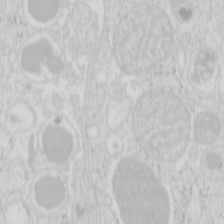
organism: Mouse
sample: Pancreas